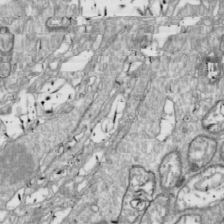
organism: Drosophila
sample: Cell division; meiosis; drosophila spermatocytes